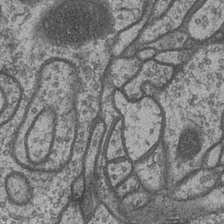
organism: Drosophila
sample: Optic medulla